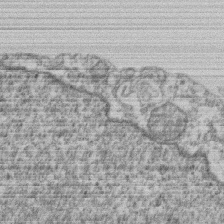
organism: Mouse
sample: T cell stromal cell synapse